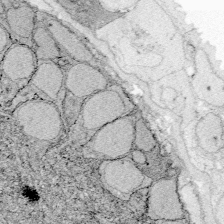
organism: Zebrafish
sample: Whole-Brain